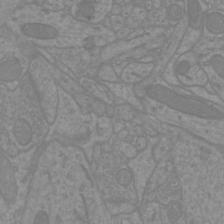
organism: Mouse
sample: Cortical neurons